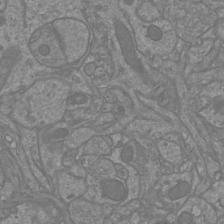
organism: Mouse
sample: Cortical neurons